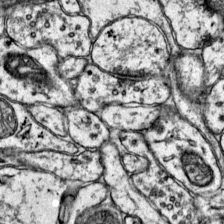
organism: Mouse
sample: Primary visual cortex